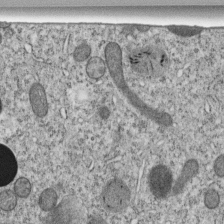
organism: C. elegans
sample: C. elegans embryo early stage